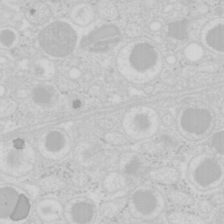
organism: Mouse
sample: Pancreas